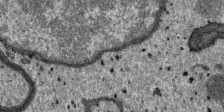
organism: Human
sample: Lung epithelial cells, uninfected (mock) control